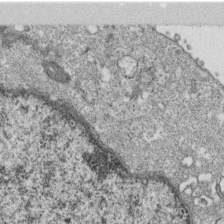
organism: African green monkey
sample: Vero E6 cells infected with SARS-CoV-2